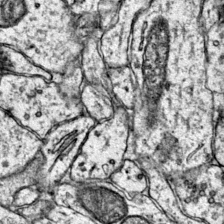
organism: Mouse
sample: Primary visual cortex